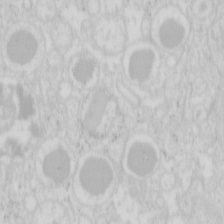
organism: Mouse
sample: Pancreas